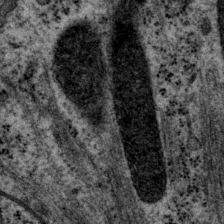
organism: P. pacificus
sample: Pharynx